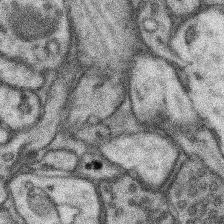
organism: Mouse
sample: Somatosensory cortex neuropil